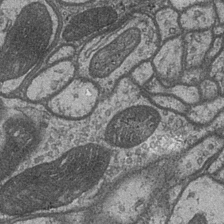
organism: Drosophila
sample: Optic medulla